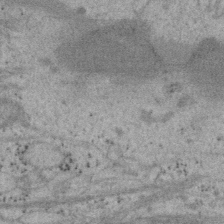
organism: Human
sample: HeLa cells